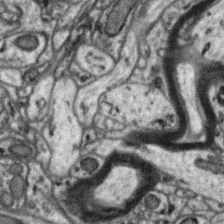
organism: Zebra finch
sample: Brain